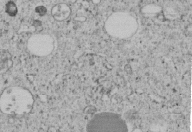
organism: C. elegans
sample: C. elegans embryo early stage